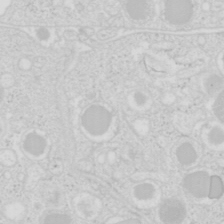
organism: Mouse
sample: Pancreas